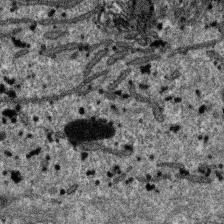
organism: Human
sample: Lung epithelial cells infected with SARS-CoV-2